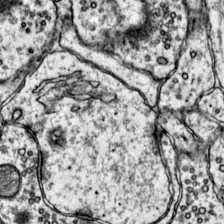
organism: Mouse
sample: Primary visual cortex